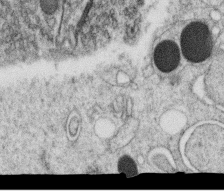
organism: C. elegans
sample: C. elegans oocyte; sperm cells